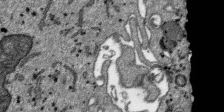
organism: Human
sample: Lung epithelial cells, uninfected (mock) control